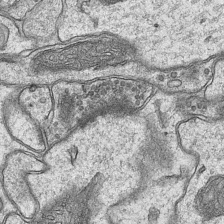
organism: Mouse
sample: CA1 Hippocampus